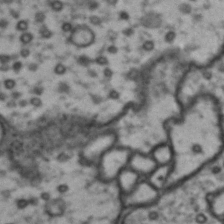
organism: Drosophila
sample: Brain